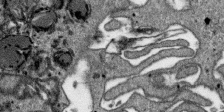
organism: Human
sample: Lung epithelial cells, uninfected (mock) control